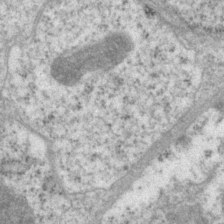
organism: P. pacificus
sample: Pharynx